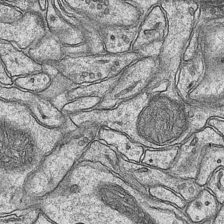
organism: Mouse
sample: CA1 Hippocampus